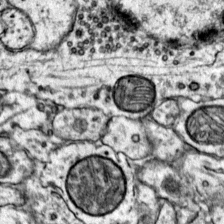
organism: Mouse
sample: Primary visual cortex